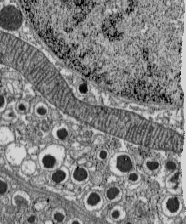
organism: C57BL Mouse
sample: Pancreatic islet